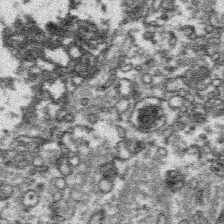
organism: Platynereis dumerilii